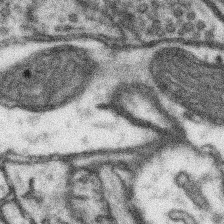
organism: Mouse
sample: Somatosensory cortex neuropil